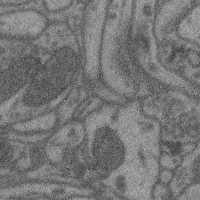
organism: Mouse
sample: Cerebral cortex